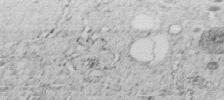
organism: C. elegans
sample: C. elegans embryo early stage